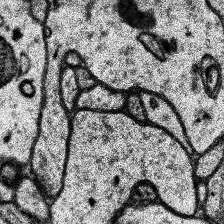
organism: Human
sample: Temporal Lobe